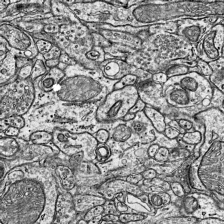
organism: Mouse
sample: Visual Cortex